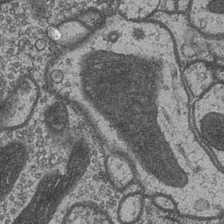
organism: Drosophila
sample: Optic medulla